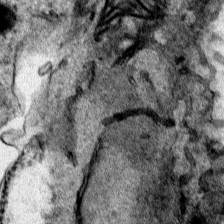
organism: Human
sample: Mitochondria in HCT116 cells